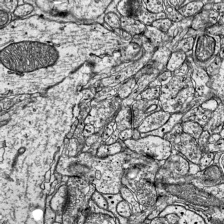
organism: Mouse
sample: Visual Cortex